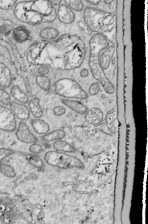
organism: Drosophila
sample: Cell division; meiosis; drosophila spermatocytes